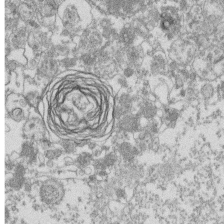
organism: Human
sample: HeLa cell HIV synapse